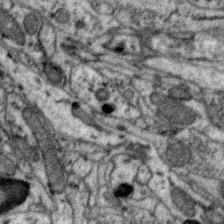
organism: Zebra finch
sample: Brain